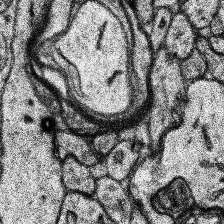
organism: Human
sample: Temporal Lobe